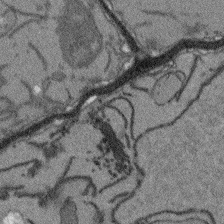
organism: Arabidopsis thaliana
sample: Root tip